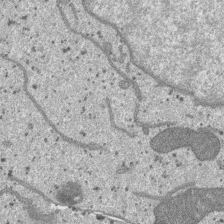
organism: Human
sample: Lung epithelial cells infected with SARS-CoV-2